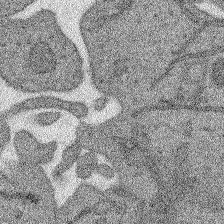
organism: Human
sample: HeLa cells